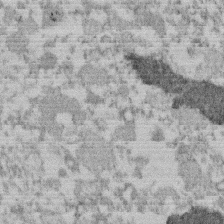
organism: Mouse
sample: Dividing mouse embryo 1 cell stage